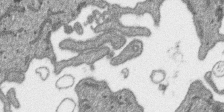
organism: Human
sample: Lung epithelial cells infected with SARS-CoV-2